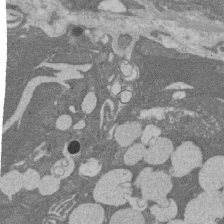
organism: Rat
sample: Salivary granule